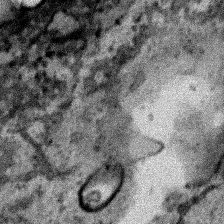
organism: Human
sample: Mitochondria in HCT116 cells